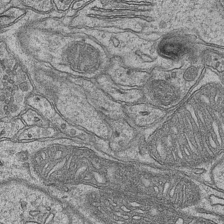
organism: Mouse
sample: CA1 Hippocampus